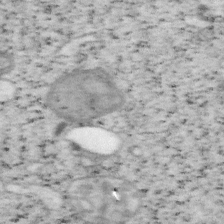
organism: Mouse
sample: OT-I killer T cells with ID8 ovarian cancer cells